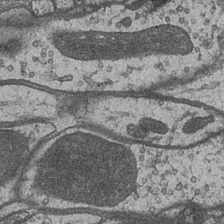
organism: Drosophila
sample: Optic medulla